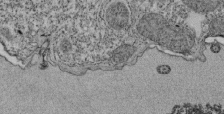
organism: Tetrahymena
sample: Cilia in tetrahymena